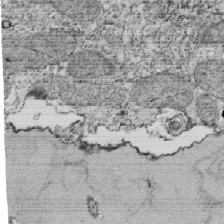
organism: Tetrahymena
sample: Cilia in tetrahymena